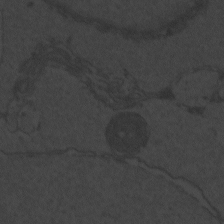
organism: Zebrafish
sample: Macrophage infected with Toxoplasma gondii